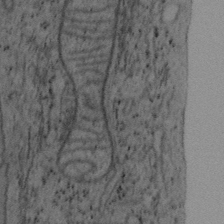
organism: Human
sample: HeLa cells